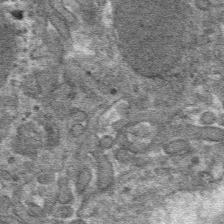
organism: Mouse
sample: Mouse hepatocytes